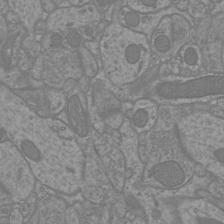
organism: Mouse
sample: Cortical neurons